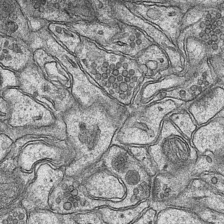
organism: Mouse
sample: CA1 Hippocampus